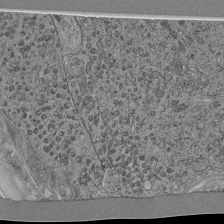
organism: C. elegans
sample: C. elegans pharynx